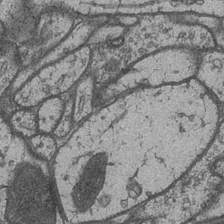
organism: Drosophila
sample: Optic medulla